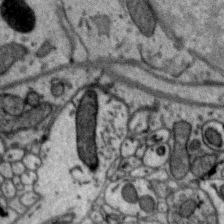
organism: Zebra finch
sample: Brain